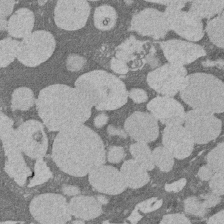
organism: Rat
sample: Salivary granule